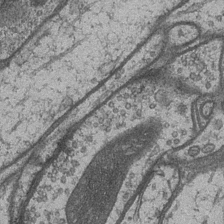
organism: Drosophila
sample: Optic medulla